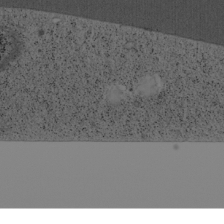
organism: African green monkey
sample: COS-7 cells